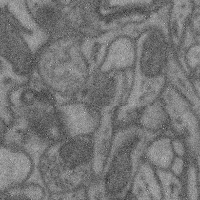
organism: Mouse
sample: Cerebral cortex